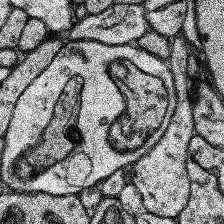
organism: Human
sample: Temporal Lobe